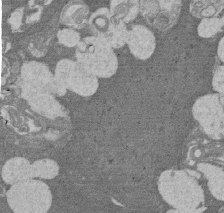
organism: Rat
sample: Salivary granule